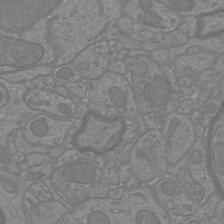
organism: Mouse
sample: Cortical neurons